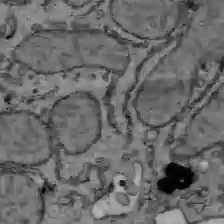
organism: C57BL Mouse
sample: Liver